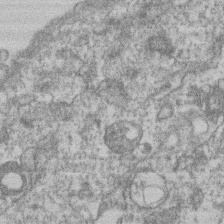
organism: Mouse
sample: T cell stromal cell synapse